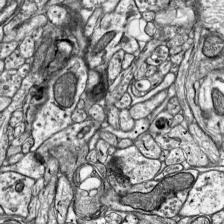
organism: Mouse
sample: Visual Cortex